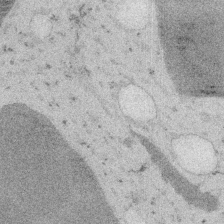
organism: Embia sp.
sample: Silk gland